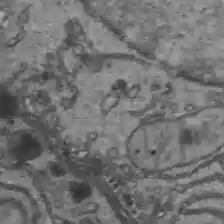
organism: C57BL Mouse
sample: Liver